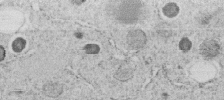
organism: C. elegans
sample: C. elegans embryo early stage